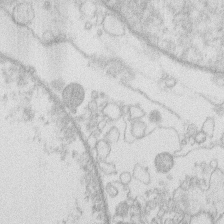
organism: Human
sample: Macrophage cells